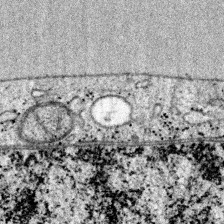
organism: Human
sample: HeLa cells